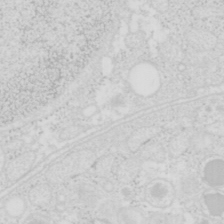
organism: Mouse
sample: Pancreas